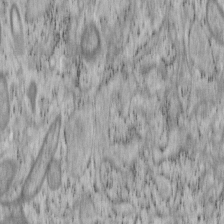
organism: Human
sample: HeLa cells